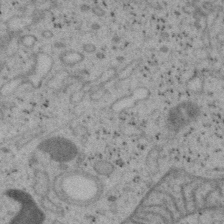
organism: Human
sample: HeLa cells